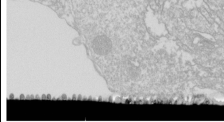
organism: Drosophila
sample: Cell division; meiosis; drosophila spermatocytes